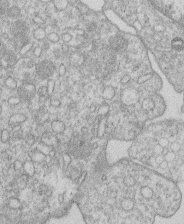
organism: Human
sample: Macrophage cells